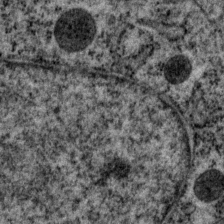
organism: P. pacificus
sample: Pharynx